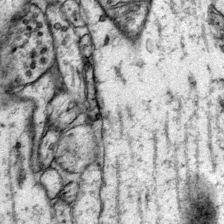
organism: Mouse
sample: Primary visual cortex